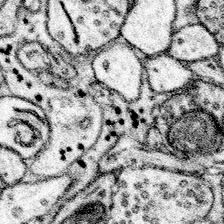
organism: Mouse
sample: Somatosensory cortex neuropil